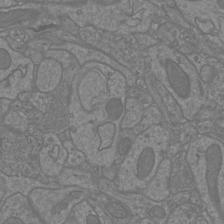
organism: Mouse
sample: Cortical neurons